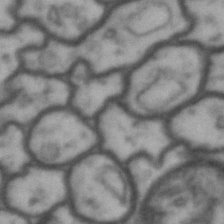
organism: Drosophila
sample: Brain